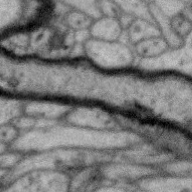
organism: Zebra finch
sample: Brain